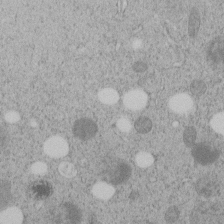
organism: C. elegans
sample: C. elegans embryo early stage